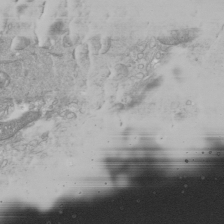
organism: Mouse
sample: Cilia; mouse epididymis